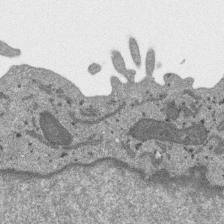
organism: Human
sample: Lung epithelial cells infected with SARS-CoV-2